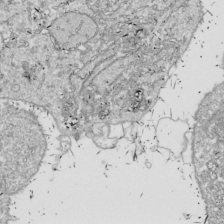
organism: Drosophila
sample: Cell division; meiosis; drosophila spermatocytes